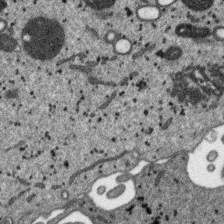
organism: Human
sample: Lung epithelial cells infected with SARS-CoV-2